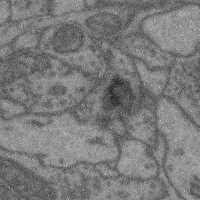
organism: Mouse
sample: Cerebral cortex